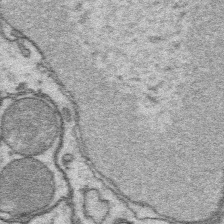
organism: Platynereis dumerilii